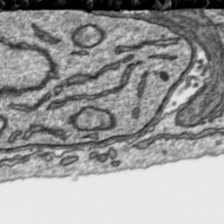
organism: Toxoplasma gondii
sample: Parasites in a vacuole inside a host cell